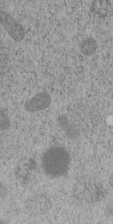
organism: C. elegans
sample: C. elegans embryo early stage